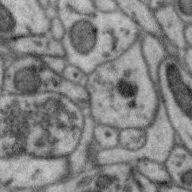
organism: Zebra finch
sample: Brain